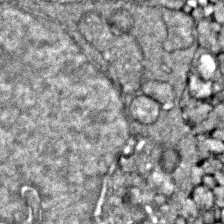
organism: Zebrafish